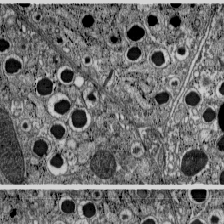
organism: C57BL Mouse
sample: Pancreatic islet